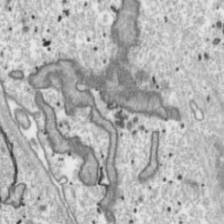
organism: Toxoplasma gondii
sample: Parasites in a vacuole inside a host cell